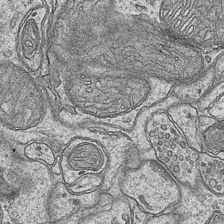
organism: Mouse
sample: CA1 Hippocampus